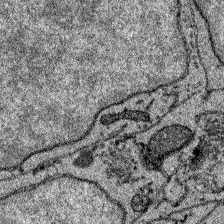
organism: Zebrafish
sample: Larval olfactory bulb